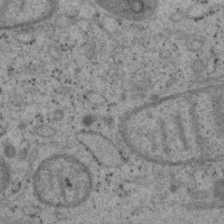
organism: Human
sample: HeLa cells